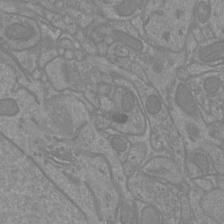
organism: Mouse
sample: Cortical neurons